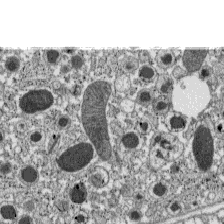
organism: C57BL Mouse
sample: Pancreatic islet